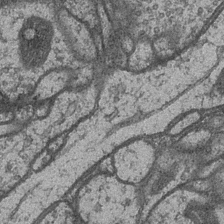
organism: Drosophila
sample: Optic medulla